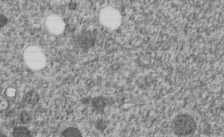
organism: C. elegans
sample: C. elegans embryo early stage